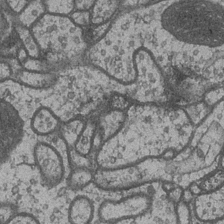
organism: Drosophila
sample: Optic medulla